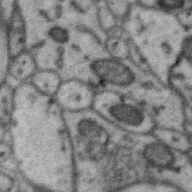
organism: Zebra finch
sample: Brain